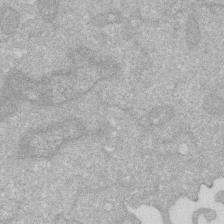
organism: Human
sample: HIV infected U937 cells